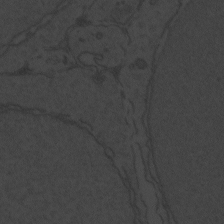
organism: Zebrafish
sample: Macrophage infected with Toxoplasma gondii